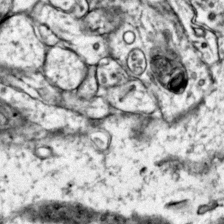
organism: Mouse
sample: Primary visual cortex